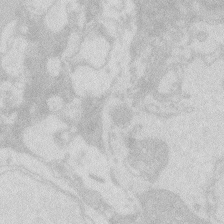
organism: Zebrafish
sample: Macrophage